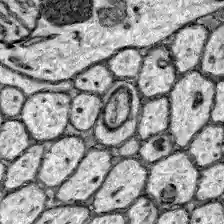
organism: Zebrafish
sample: Brain